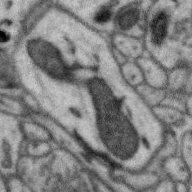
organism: Zebra finch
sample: Brain